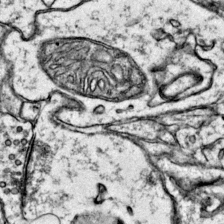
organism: Mouse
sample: Primary visual cortex